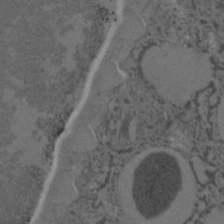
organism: C. elegans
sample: C. elegans embryo